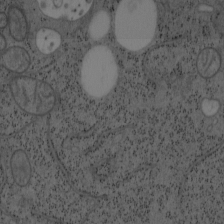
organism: Mouse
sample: OT-I killer T cells with ID8 ovarian cancer cells